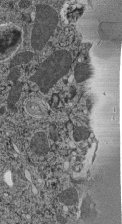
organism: C. elegans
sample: C. elegans pharynx